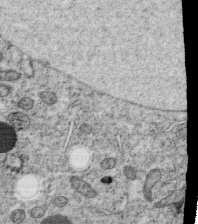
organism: C. elegans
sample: C. elegans oocyte; sperm cells